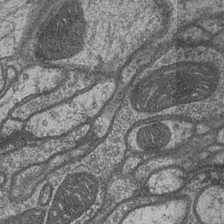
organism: Drosophila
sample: Optic medulla